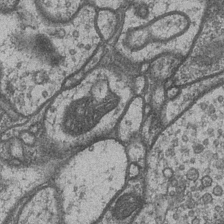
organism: Drosophila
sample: Optic medulla